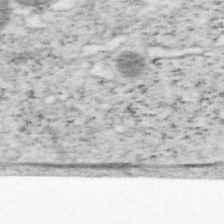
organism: Mouse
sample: OT-I killer T cells with ID8 ovarian cancer cells